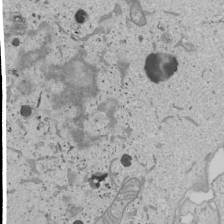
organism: Human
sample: Mitochondria in U2OS cells